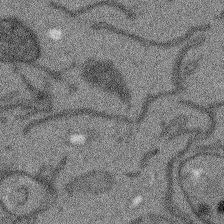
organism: Arabidopsis thaliana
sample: Root tip